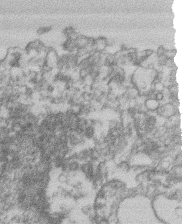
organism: Mouse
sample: T cell stromal cell synapse